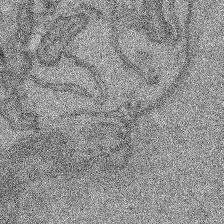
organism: Human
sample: HeLa cells